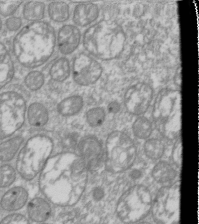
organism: Drosophila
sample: Cell division; meiosis; drosophila spermatocytes